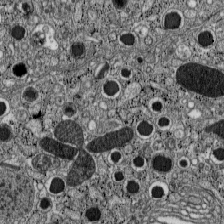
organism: C57BL Mouse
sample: Pancreatic islet